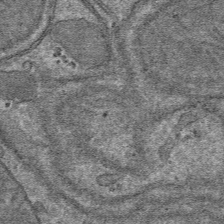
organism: Mouse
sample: Mouse hepatocytes